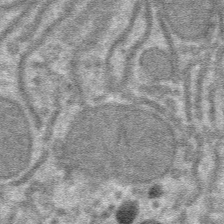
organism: Mouse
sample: Mouse hepatocytes